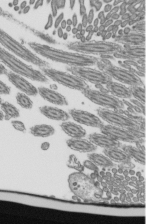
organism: Mouse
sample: Mouse epididymis efferent ductule cilia